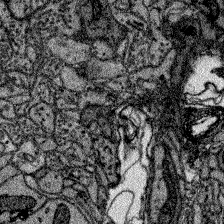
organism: Zebrafish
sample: Larval olfactory bulb